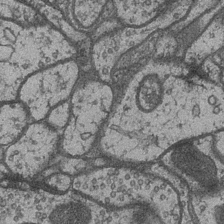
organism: Drosophila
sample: Optic medulla